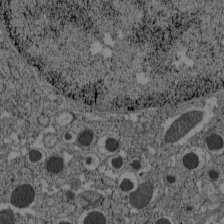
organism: C57BL Mouse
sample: Pancreatic islet